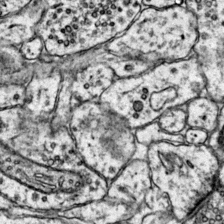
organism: Mouse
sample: Primary visual cortex